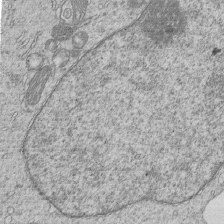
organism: Human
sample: MDA-MB-231 cells